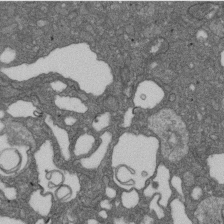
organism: Drosophila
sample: Nephrocyte